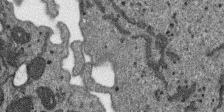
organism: Human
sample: Lung epithelial cells infected with SARS-CoV-2